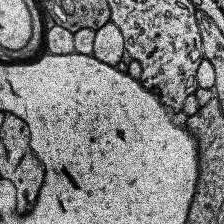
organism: Human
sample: Temporal Lobe